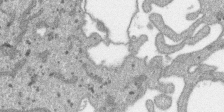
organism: Human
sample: Lung epithelial cells infected with SARS-CoV-2